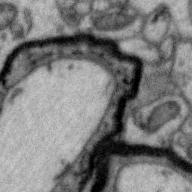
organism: Zebra finch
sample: Brain